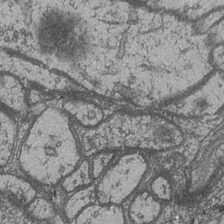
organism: Drosophila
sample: Optic medulla